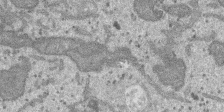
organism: Human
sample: Lung epithelial cells infected with SARS-CoV-2